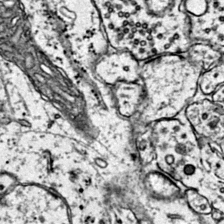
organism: Mouse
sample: Primary visual cortex